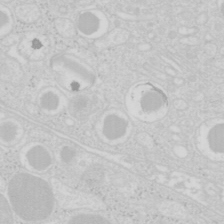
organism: Mouse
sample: Pancreas